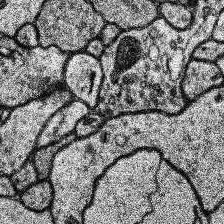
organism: Human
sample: Temporal Lobe